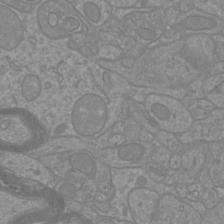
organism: Mouse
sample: Cortical neurons